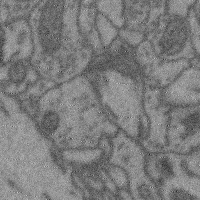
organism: Mouse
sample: Cerebral cortex